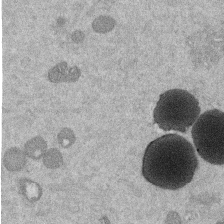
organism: Mouse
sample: Dividing mouse embryo 1 cell stage